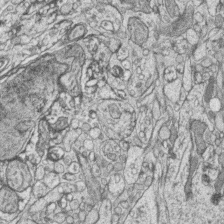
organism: Zebrafish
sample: synaptic ribbons in rod cells and cone cells